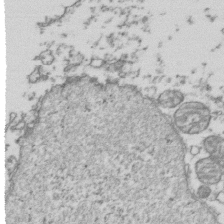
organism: Human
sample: Activated Jurkat CD4+ T cells